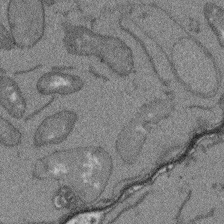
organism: Arabidopsis thaliana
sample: Root tip